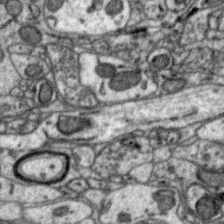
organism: Zebra finch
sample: Brain